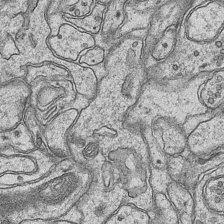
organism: Mouse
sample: CA1 Hippocampus